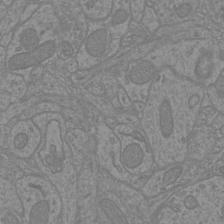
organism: Mouse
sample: Cortical neurons